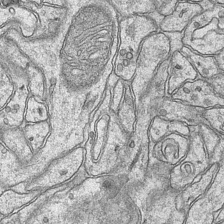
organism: Mouse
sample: CA1 Hippocampus